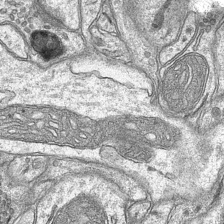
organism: Mouse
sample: CA1 Hippocampus